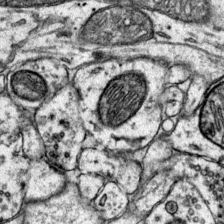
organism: Mouse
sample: Primary visual cortex